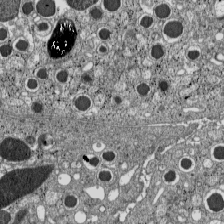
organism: C57BL Mouse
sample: Pancreatic islet